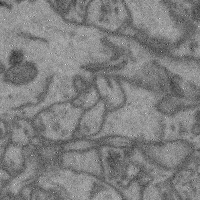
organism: Mouse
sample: Cerebral cortex